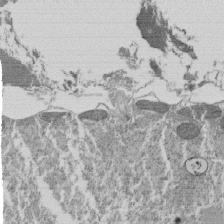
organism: Tetrahymena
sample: Cilia in tetrahymena